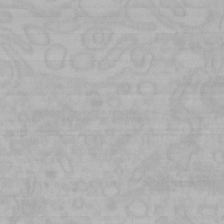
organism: Mouse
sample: Choroid plexus